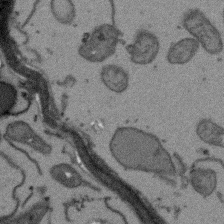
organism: Arabidopsis thaliana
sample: Root tip